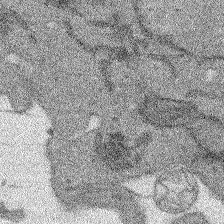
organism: Human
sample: HeLa cells